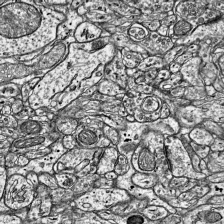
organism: Mouse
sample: Visual Cortex